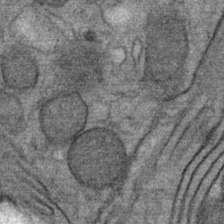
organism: Mouse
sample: Mouse Salivary gland